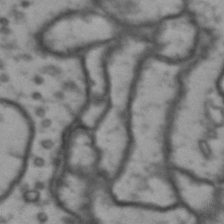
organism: Drosophila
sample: Brain